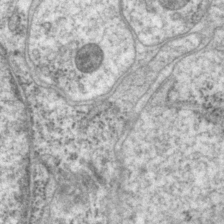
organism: P. pacificus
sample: Pharynx